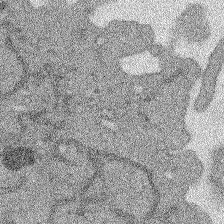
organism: Human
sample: HeLa cells